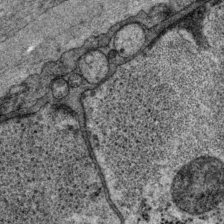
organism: P. pacificus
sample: Pharynx